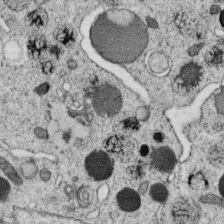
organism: C. elegans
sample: C. elegans oocyte; sperm cells